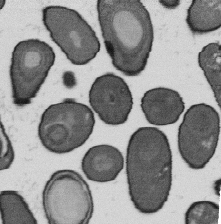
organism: B. subtilis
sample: Bacterial spore